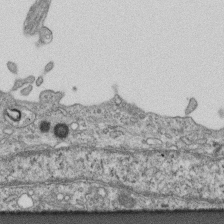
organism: Mouse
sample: Centriole in ependymal cells